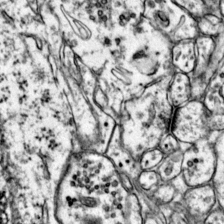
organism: Mouse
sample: Primary visual cortex